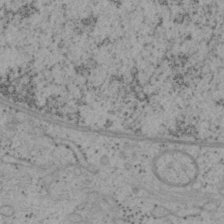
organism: Human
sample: HeLa cells